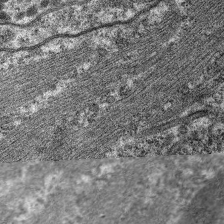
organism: C. elegans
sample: Pharynx